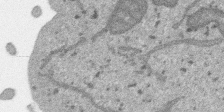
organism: Human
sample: Lung epithelial cells infected with SARS-CoV-2